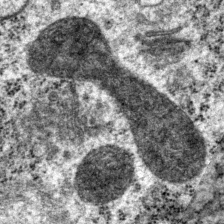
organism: P. pacificus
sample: Pharynx